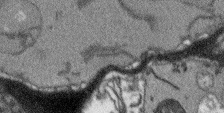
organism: Arabidopsis thaliana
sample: Root tip